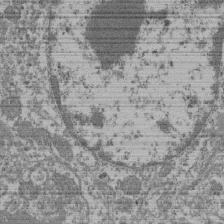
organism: Mouse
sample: Glomerulus